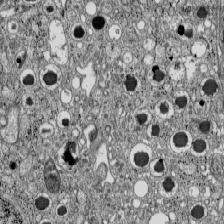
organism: C57BL Mouse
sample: Pancreatic islet